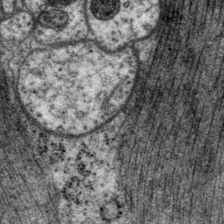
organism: P. pacificus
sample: Pharynx